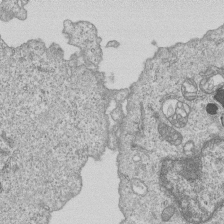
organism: Human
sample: MDA-MB-231 cells